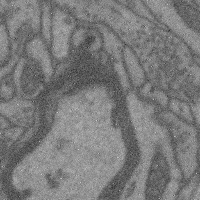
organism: Mouse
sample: Cerebral cortex